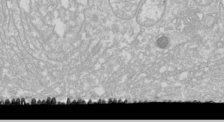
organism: Drosophila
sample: Cell division; meiosis; drosophila spermatocytes